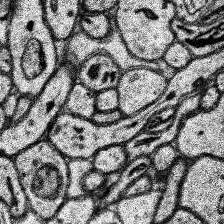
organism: Human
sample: Temporal Lobe